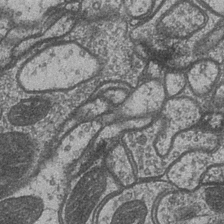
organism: Drosophila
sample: Optic medulla